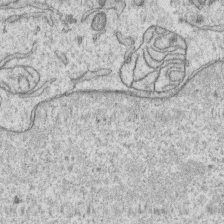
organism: Human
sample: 1205lu cells